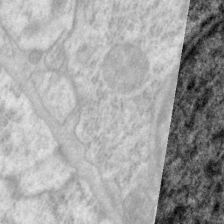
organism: P. pacificus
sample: Pharynx